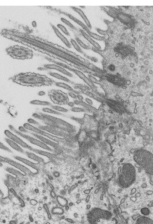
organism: Mouse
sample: Mouse epididymis efferent ductule cilia